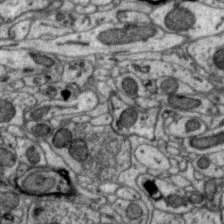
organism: Zebra finch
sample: Brain